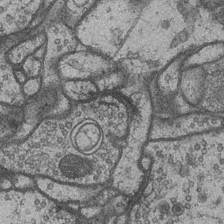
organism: Drosophila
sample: Optic medulla